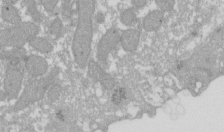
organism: Xenopus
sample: Cilia; centrioles in frog embryo cells